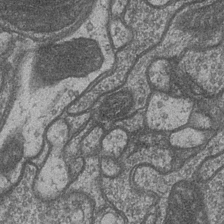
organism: Drosophila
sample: Optic medulla